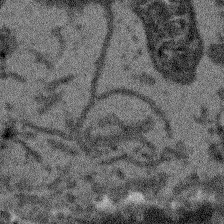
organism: Arabidopsis thaliana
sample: Root tip